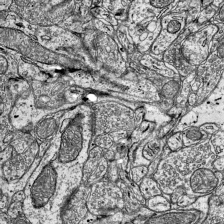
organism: Mouse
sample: Visual Cortex